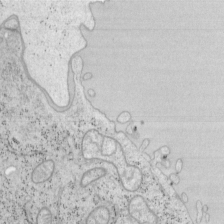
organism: Mouse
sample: OT-I killer T cells with ID8 ovarian cancer cells